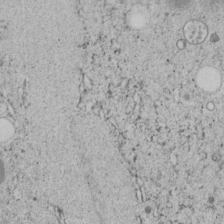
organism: C. elegans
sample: C. elegans embryo early stage